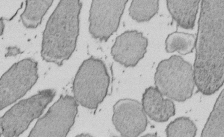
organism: E. coli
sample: Bacterial nucleoid